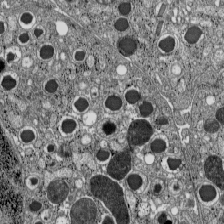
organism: C57BL Mouse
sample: Pancreatic islet